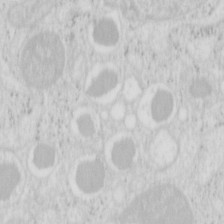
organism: Mouse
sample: Pancreas